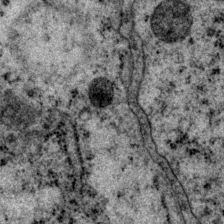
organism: P. pacificus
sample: Pharynx